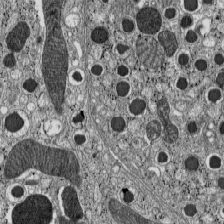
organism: C57BL Mouse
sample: Pancreatic islet